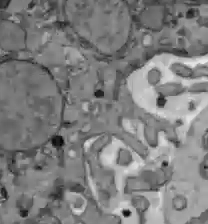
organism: C57BL Mouse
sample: Liver